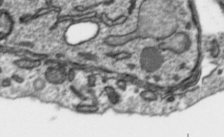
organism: Toxoplasma gondii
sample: Parasites in a vacuole inside a host cell